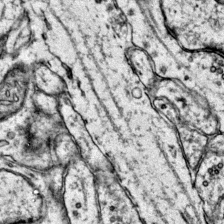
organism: Mouse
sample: Primary visual cortex